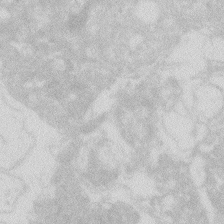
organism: Zebrafish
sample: Macrophage